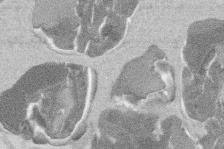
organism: Mouse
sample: T cell stromal cell synapse